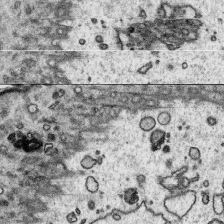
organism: Platynereis dumerilii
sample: Parapodia